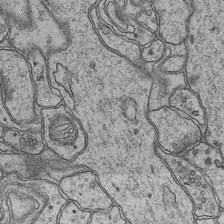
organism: Mouse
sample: CA1 Hippocampus